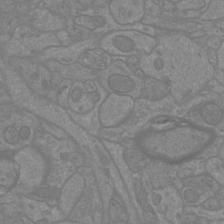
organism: Mouse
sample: Cortical neurons